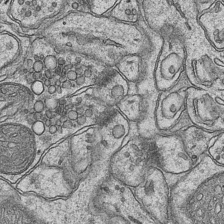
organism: Mouse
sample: CA1 Hippocampus